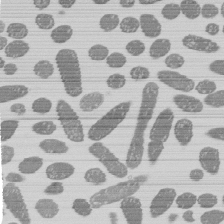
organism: E. coli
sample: Bacterial nucleoid